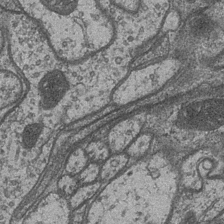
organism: Drosophila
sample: Optic medulla